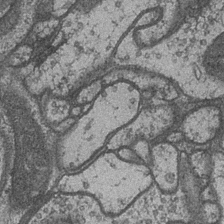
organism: Drosophila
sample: Optic medulla